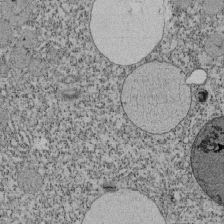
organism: Tetrahymena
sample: Cilia in tetrahymena